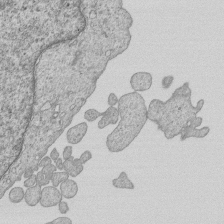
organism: Human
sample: MDA-MB-231 cells